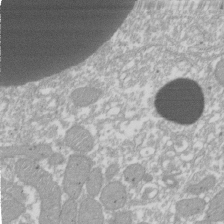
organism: Xenopus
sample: Cilia; centrioles in frog embryo cells